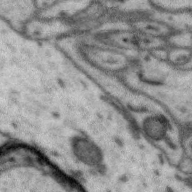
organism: Zebra finch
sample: Brain